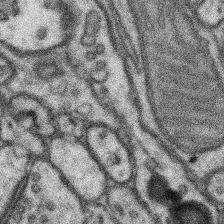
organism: Mouse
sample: Somatosensory cortex neuropil